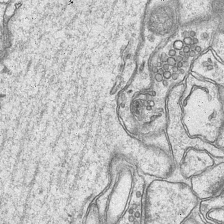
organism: Mouse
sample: CA1 Hippocampus